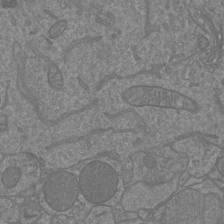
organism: Mouse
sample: Cortical neurons